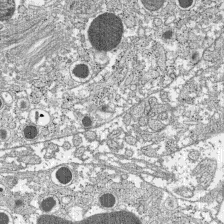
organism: C57BL Mouse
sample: Pancreatic islet